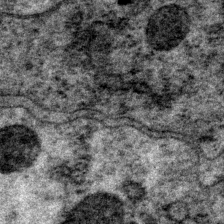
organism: P. pacificus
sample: Pharynx